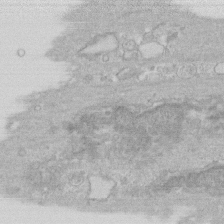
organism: Human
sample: Fibroblast cells